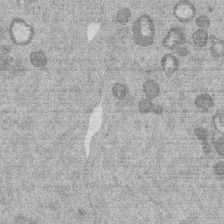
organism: Mouse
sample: Dividing mouse embryo 1 cell stage